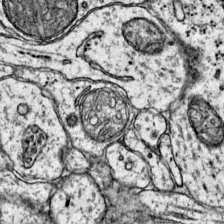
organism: Mouse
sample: Primary visual cortex